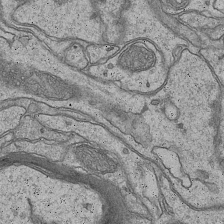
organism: Mouse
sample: CA1 Hippocampus